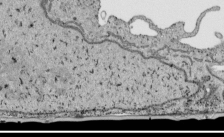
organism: Human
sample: Mitochondria in HCT116 cells